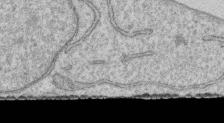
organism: Human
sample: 1205lu cells